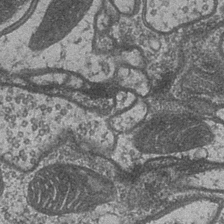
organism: Drosophila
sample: Optic medulla